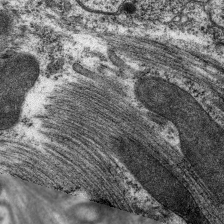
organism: C. elegans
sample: Pharynx